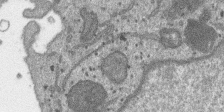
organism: Human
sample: Lung epithelial cells infected with SARS-CoV-2